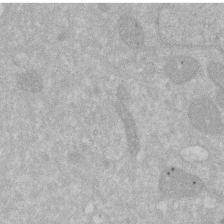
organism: Human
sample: HIV infected U937 cells